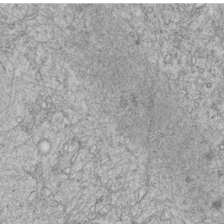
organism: C. elegans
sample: C. elegans embryo early stage